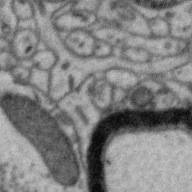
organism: Zebra finch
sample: Brain